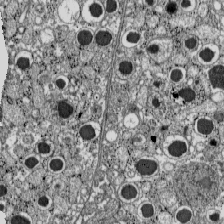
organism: C57BL Mouse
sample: Pancreatic islet